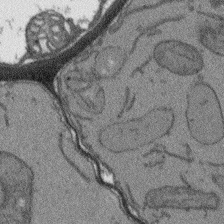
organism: Arabidopsis thaliana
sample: Root tip